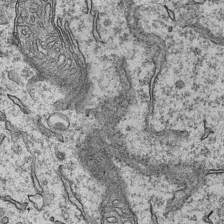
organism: Mouse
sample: CA1 Hippocampus